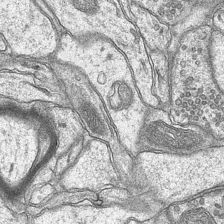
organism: Mouse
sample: CA1 Hippocampus